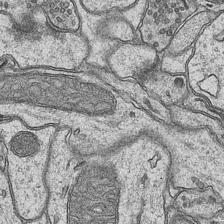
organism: Mouse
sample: CA1 Hippocampus